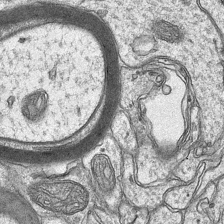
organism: Mouse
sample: CA1 Hippocampus